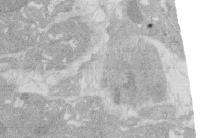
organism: Rat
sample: Salivary granule